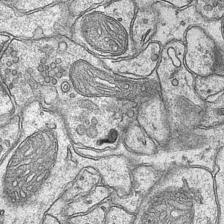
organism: Mouse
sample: CA1 Hippocampus